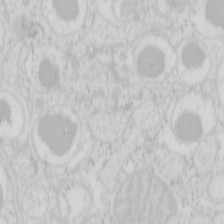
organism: Mouse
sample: Pancreas